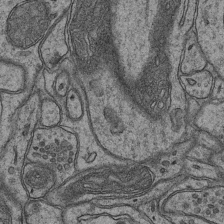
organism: Mouse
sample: CA1 Hippocampus